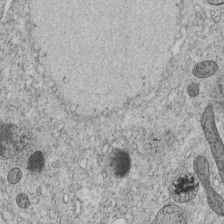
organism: C. elegans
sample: C. elegans embryo early stage